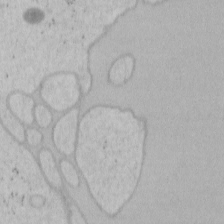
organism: Human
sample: HeLa cells